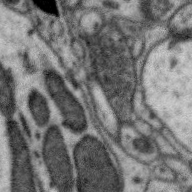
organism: Zebra finch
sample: Brain